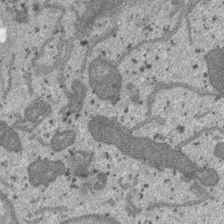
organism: Human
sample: Lung epithelial cells infected with SARS-CoV-2